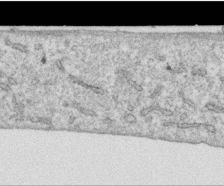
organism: Human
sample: Centriole in RPE cells